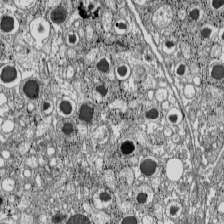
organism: C57BL Mouse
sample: Pancreatic islet